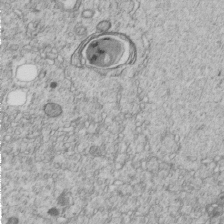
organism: C. elegans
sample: C. elegans embryo early stage